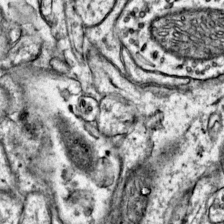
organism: Mouse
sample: Primary visual cortex